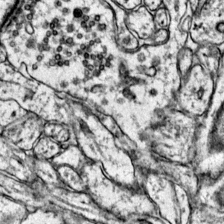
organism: Mouse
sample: Primary visual cortex